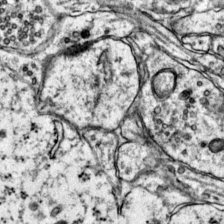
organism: Mouse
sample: Primary visual cortex